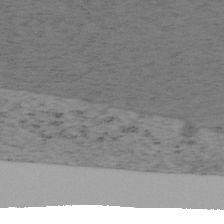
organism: Mouse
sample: OT-I killer T cells with ID8 ovarian cancer cells